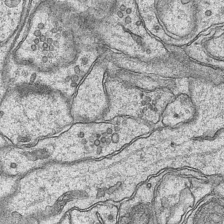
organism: Mouse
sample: CA1 Hippocampus